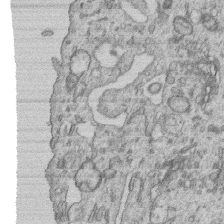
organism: Human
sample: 1205lu cells